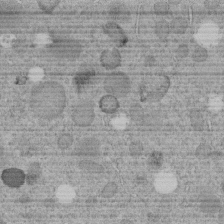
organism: C. elegans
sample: C. elegans embryo early stage